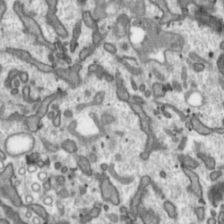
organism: Toxoplasma gondii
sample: Parasites in a vacuole inside a host cell